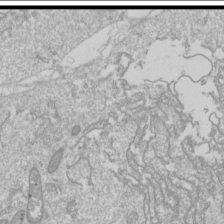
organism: Drosophila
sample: Cell division; meiosis; drosophila spermatocytes